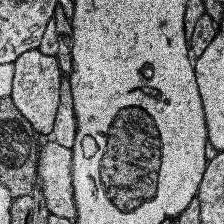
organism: Human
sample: Temporal Lobe